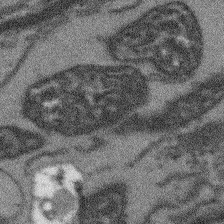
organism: Arabidopsis thaliana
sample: Root tip